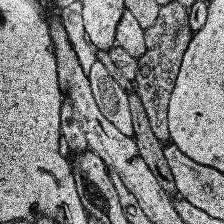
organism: Human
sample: Temporal Lobe